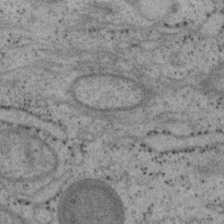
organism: Human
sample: HeLa cells